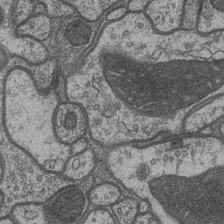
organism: Drosophila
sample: Optic medulla